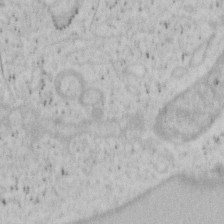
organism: Human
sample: HeLa cells